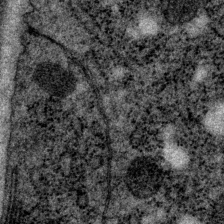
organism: P. pacificus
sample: Pharynx